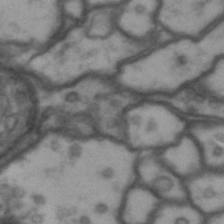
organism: Drosophila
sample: Brain